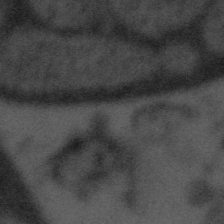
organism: Tuwongella immobilis